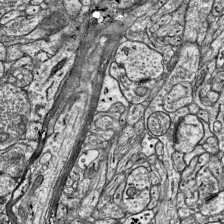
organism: Mouse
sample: Visual Cortex